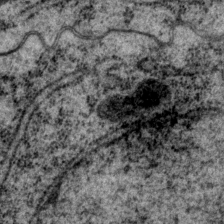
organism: P. pacificus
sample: Pharynx